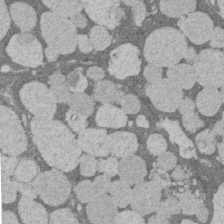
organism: Rat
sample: Salivary granule